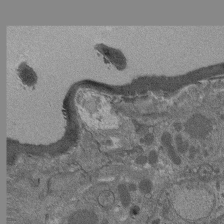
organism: Drosophila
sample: Antenna